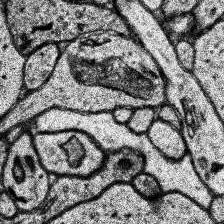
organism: Human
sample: Temporal Lobe